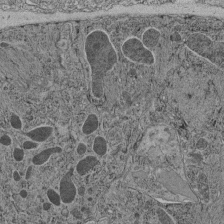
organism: C. elegans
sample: C. elegans pharynx